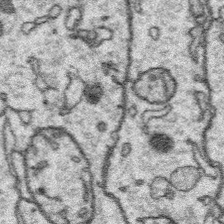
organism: Platynereis dumerilii